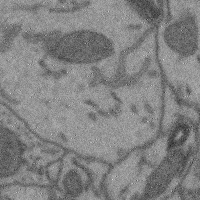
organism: Mouse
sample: Cerebral cortex